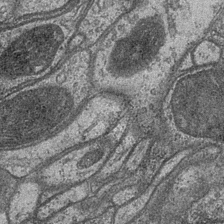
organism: Drosophila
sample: Optic medulla